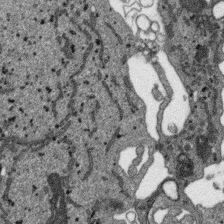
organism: Human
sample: Lung epithelial cells infected with SARS-CoV-2